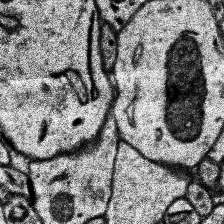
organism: Human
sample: Temporal Lobe